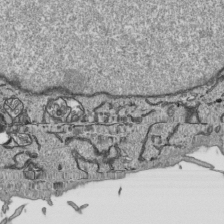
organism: Human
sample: Mitochondria in HCT116 cells